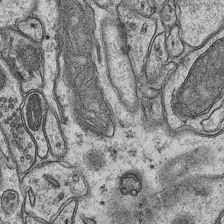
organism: Mouse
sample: CA1 Hippocampus